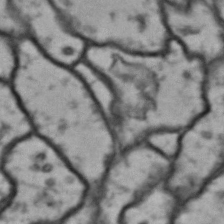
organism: Drosophila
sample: Brain